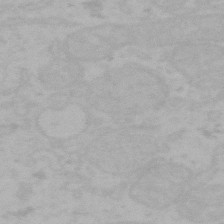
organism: Mouse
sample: Choroid plexus